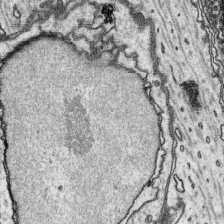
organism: Platynereis dumerilii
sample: Parapodia